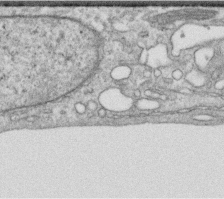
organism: Human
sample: Centriole in RPE cells